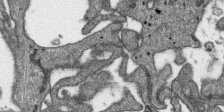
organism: Human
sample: Lung epithelial cells, uninfected (mock) control